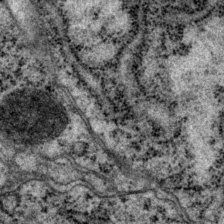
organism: P. pacificus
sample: Pharynx